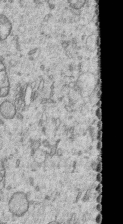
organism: Human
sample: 1205lu cells